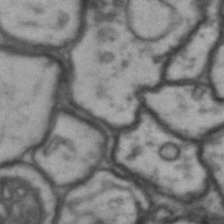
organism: Drosophila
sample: Brain